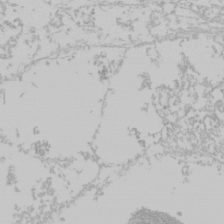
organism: Mouse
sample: Cancer cell death in ED-1 cells